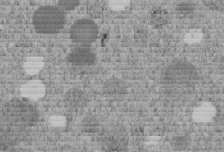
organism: C. elegans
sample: C. elegans embryo early stage